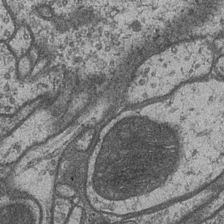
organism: Drosophila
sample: Optic medulla